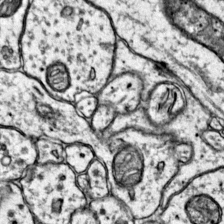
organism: Mouse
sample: Primary visual cortex